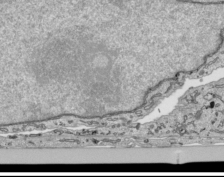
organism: Human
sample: Mitochondria in HCT116 cells